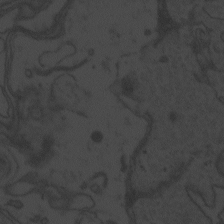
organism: Zebrafish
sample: Macrophage infected with Toxoplasma gondii